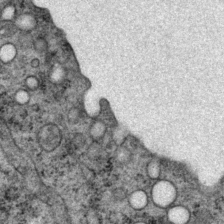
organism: P. pacificus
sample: Pharynx